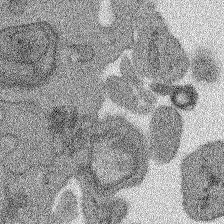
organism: Human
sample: HeLa cells